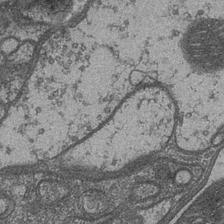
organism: Drosophila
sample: Optic medulla